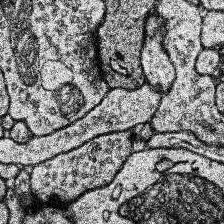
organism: Human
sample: Temporal Lobe